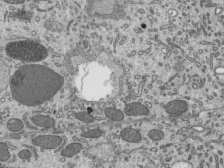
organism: Mouse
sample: Mouse epididymis efferent ductule cilia